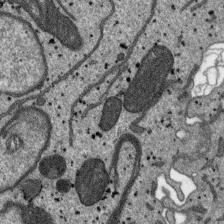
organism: Human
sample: Lung epithelial cells, uninfected (mock) control